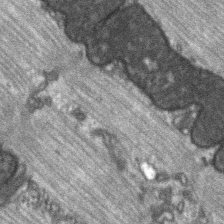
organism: C57BL Mouse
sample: Soleus